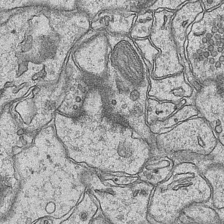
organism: Mouse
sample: CA1 Hippocampus